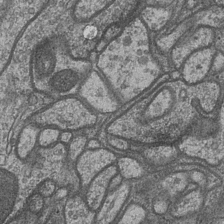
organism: Drosophila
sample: Optic medulla